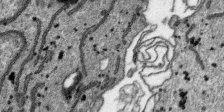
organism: Human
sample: Lung epithelial cells, uninfected (mock) control